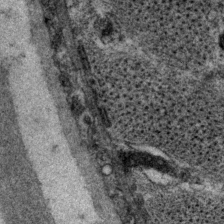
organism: P. pacificus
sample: Pharynx